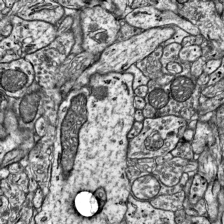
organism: Mouse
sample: Visual Cortex